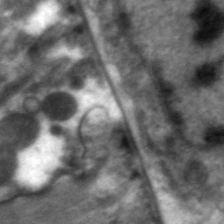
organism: C. elegans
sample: Pharynx